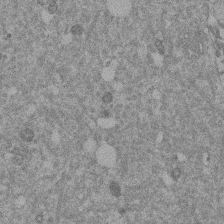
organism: Mouse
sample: Dividing mouse embryo 1 cell stage